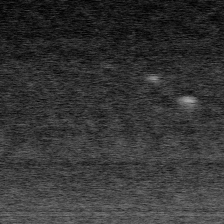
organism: Human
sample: HeLa cells